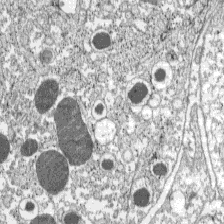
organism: C57BL Mouse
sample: Pancreatic islet